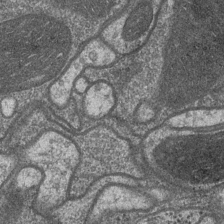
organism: Drosophila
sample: Optic medulla